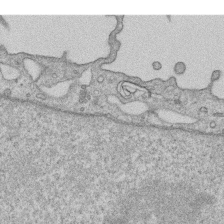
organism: Human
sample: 1205lu cells